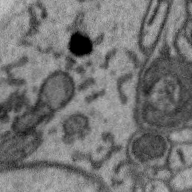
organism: Zebra finch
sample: Brain